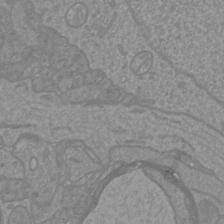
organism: Mouse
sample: Cortical neurons